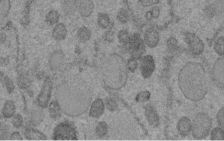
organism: C. elegans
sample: C. elegans embryo early stage